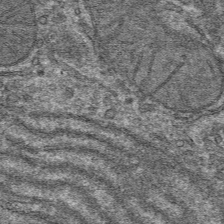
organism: Mouse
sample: Mouse hepatocytes